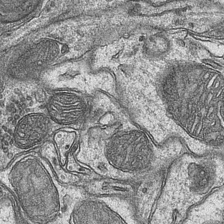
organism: Mouse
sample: CA1 Hippocampus